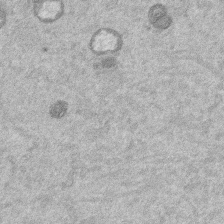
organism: Mouse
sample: Dividing mouse embryo 1 cell stage